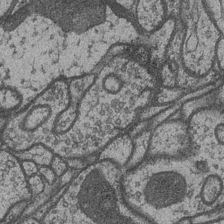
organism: Drosophila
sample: Optic medulla